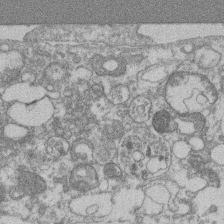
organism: Mouse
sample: T cell stromal cell synapse